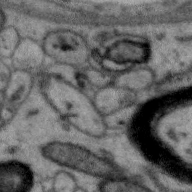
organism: Zebra finch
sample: Brain